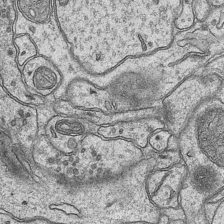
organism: Mouse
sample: CA1 Hippocampus